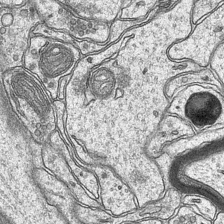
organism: Mouse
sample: CA1 Hippocampus